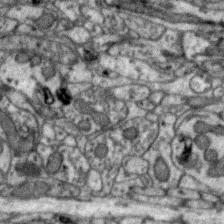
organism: Zebra finch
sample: Brain